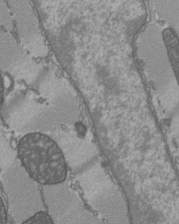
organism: C57BL Mouse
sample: Heart